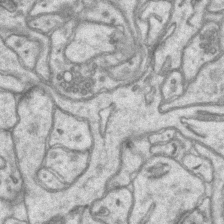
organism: Mouse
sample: CA1 Hippocampus